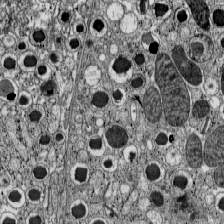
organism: C57BL Mouse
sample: Pancreatic islet